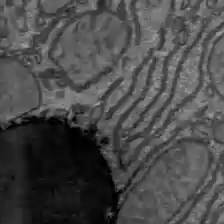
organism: C57BL Mouse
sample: Liver